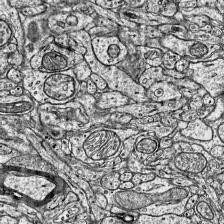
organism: Mouse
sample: Visual Cortex